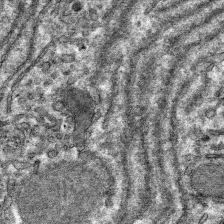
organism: Mouse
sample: Mouse hepatocytes